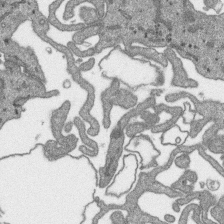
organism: Human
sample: Lung epithelial cells infected with SARS-CoV-2